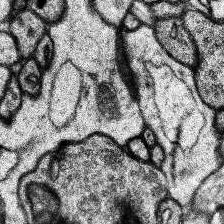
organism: Human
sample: Temporal Lobe